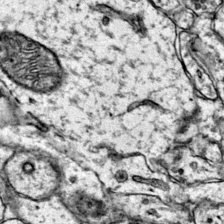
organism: Mouse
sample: Primary visual cortex